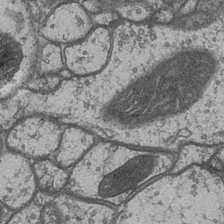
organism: Drosophila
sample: Optic medulla